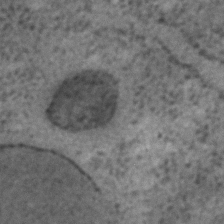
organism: C. elegans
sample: C. elegans embryo